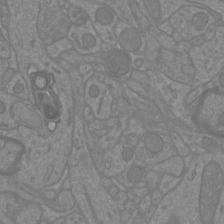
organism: Mouse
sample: Cortical neurons